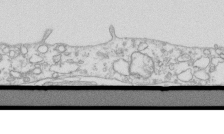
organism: Mouse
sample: Macrophages